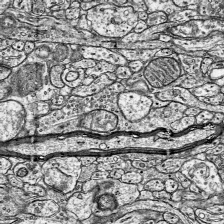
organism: Mouse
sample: Visual Cortex